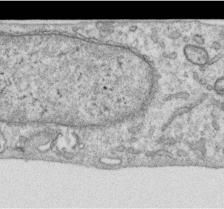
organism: Human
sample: Centriole in RPE cells